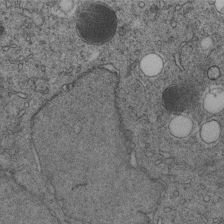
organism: C. elegans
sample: C. elegans embryo early stage